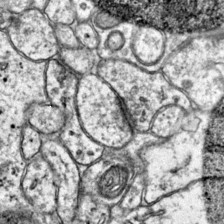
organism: Mouse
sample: Primary visual cortex